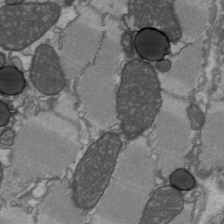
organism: C57BL Mouse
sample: Heart